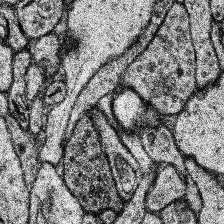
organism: Human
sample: Temporal Lobe